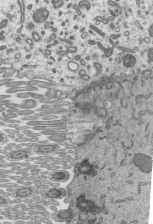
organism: Mouse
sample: Mouse epididymis efferent ductule cilia